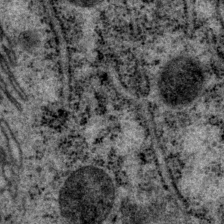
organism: P. pacificus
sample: Pharynx